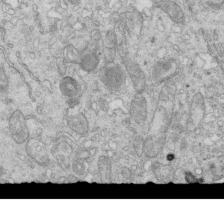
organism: Mouse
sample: Multiciliated cells